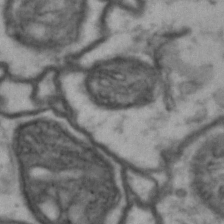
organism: Drosophila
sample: Brain